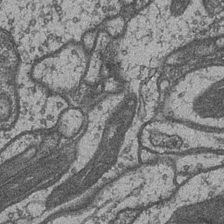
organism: Drosophila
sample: Optic medulla